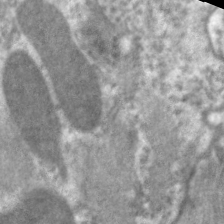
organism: C. elegans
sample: Pharynx